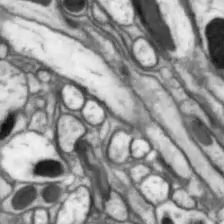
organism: Drosophila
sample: Optic lobe